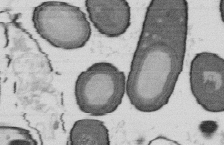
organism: B. subtilis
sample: Bacterial spore